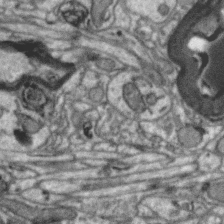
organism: Zebra finch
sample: Brain